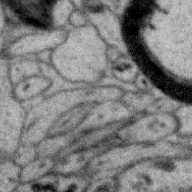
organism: Zebra finch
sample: Brain